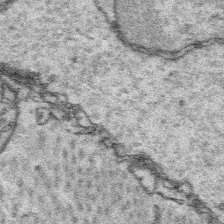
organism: Platynereis dumerilii